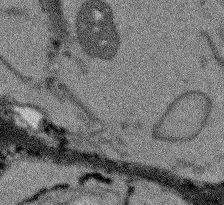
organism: Arabidopsis thaliana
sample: Root tip